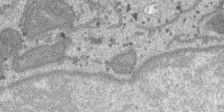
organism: Human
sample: Lung epithelial cells infected with SARS-CoV-2